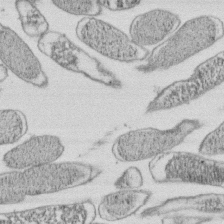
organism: E. coli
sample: Bacterial nucleoid